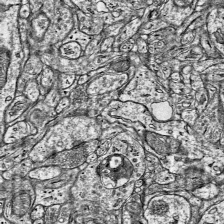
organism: Mouse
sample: Visual Cortex